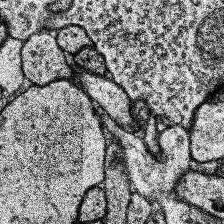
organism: Human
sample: Temporal Lobe